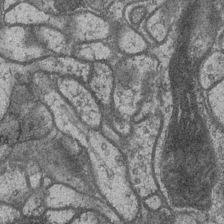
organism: Drosophila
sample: Optic medulla